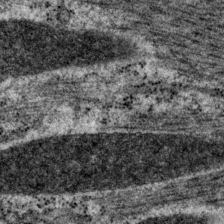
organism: P. pacificus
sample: Pharynx